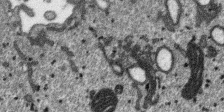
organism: Human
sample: Lung epithelial cells infected with SARS-CoV-2